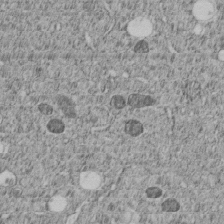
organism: C. elegans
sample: C. elegans embryo early stage